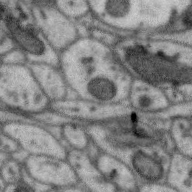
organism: Zebra finch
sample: Brain